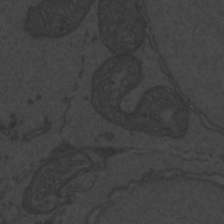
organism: Zebrafish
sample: Macrophage infected with Toxoplasma gondii